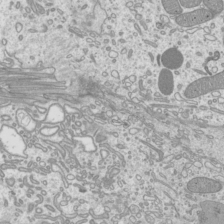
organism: Mouse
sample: Cilia; mouse epididymis